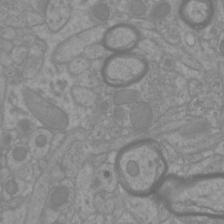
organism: Mouse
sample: Cortical neurons